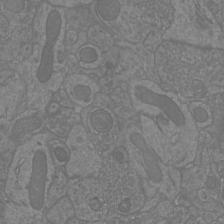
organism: Mouse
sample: Cortical neurons